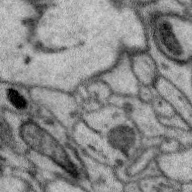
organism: Zebra finch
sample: Brain